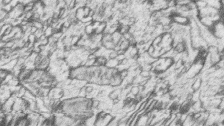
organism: Zebrafish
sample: synaptic ribbons in rod cells and cone cells